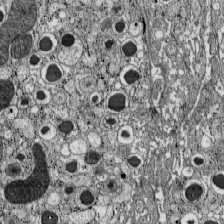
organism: C57BL Mouse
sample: Pancreatic islet